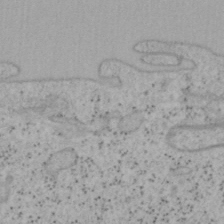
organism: Human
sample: HeLa cells